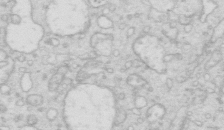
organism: Mouse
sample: Multiciliated cells